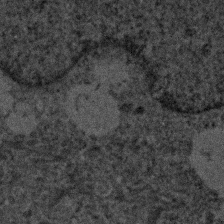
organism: Human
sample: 1205lu cells